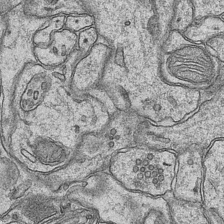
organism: Mouse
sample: CA1 Hippocampus